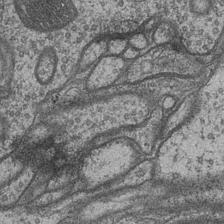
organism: Drosophila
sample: Optic medulla